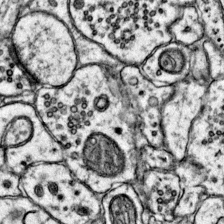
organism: Mouse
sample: Primary visual cortex